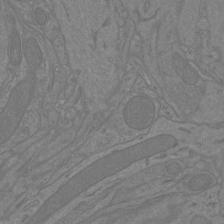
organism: Mouse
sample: Cortical neurons